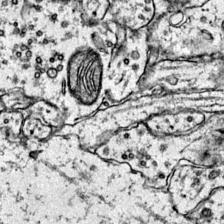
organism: Mouse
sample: Primary visual cortex